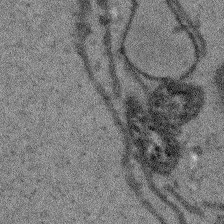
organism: Arabidopsis thaliana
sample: Root tip